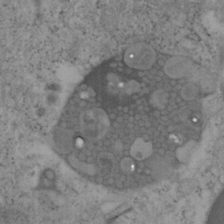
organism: Mouse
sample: OT-I killer T cells with ID8 ovarian cancer cells